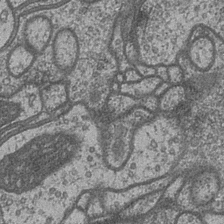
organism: Drosophila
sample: Optic medulla